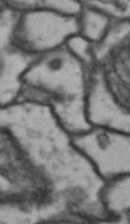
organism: Drosophila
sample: Brain